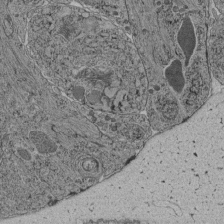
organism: C. elegans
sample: C. elegans pharynx